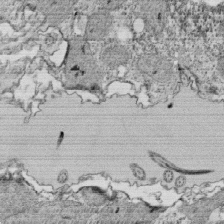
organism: Tetrahymena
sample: Cilia in tetrahymena